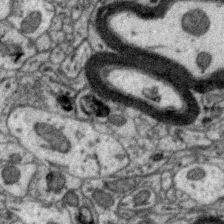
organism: Zebra finch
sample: Brain